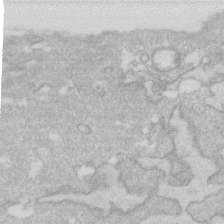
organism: Human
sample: Fibroblast cells